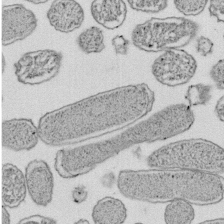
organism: E. coli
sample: Bacterial nucleoid